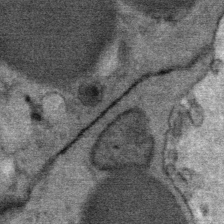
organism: Mouse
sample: Mouse Salivary gland